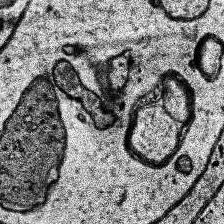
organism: Human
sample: Temporal Lobe